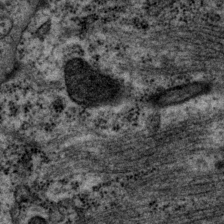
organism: P. pacificus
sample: Pharynx